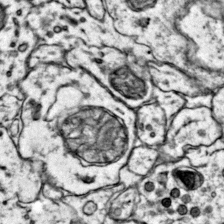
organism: Mouse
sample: Primary visual cortex